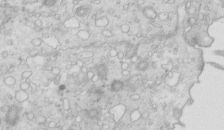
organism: Mouse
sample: Multiciliated cells